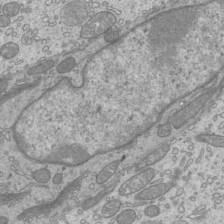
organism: Mouse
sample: Cilia; mouse epididymis